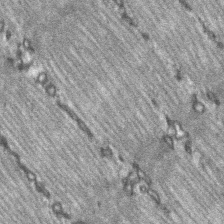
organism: C57BL Mouse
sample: Soleus